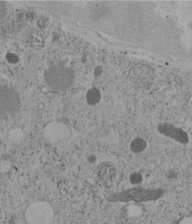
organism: C. elegans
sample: C. elegans embryo early stage